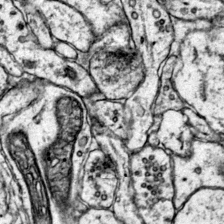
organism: Mouse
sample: Primary visual cortex